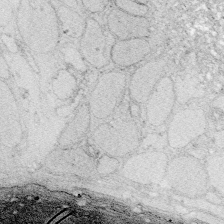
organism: Zebrafish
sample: Whole-Brain